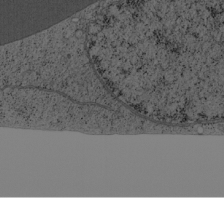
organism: African green monkey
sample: COS-7 cells